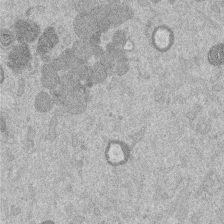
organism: Mouse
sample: Dividing mouse embryo 1 cell stage